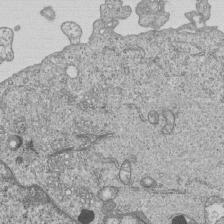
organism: Human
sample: MDA-MB-231 cells